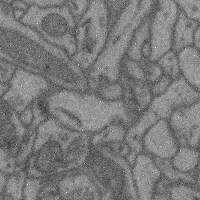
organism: Mouse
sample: Cerebral cortex